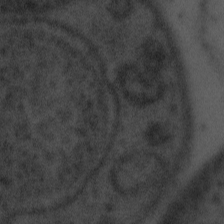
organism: Tuwongella immobilis